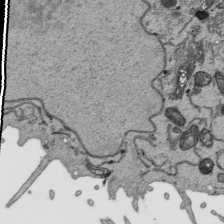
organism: Human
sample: Mitochondria in HCT116 cells